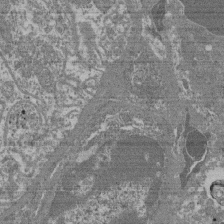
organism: Mouse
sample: Glomerulus